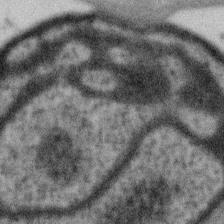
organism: Gemmata obscuriglobus